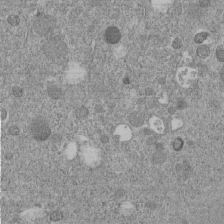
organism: C. elegans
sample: C. elegans embryo early stage